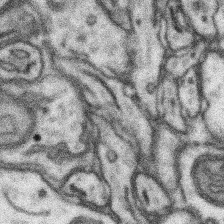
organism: Mouse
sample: Somatosensory cortex neuropil